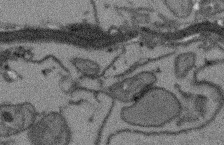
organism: Arabidopsis thaliana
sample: Root tip